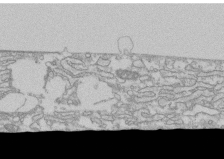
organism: Human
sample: CRL-1474